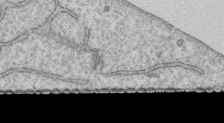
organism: Human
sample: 1205lu cells